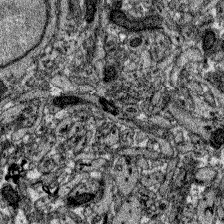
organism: Zebrafish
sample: Larval olfactory bulb